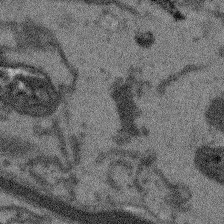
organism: Arabidopsis thaliana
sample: Root tip